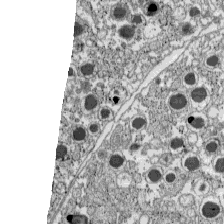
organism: C57BL Mouse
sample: Pancreatic islet